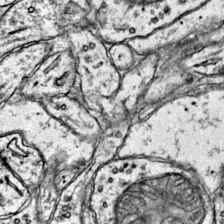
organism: Mouse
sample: Primary visual cortex